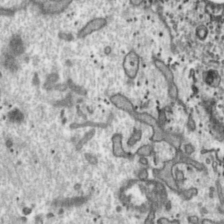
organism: Toxoplasma gondii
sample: Parasites in a vacuole inside a host cell